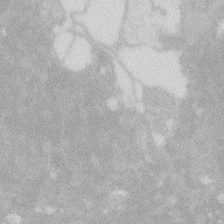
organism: Zebrafish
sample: Macrophage